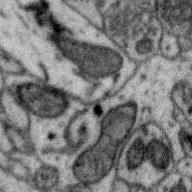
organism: Zebra finch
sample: Brain